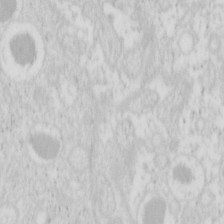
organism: Mouse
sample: Pancreas